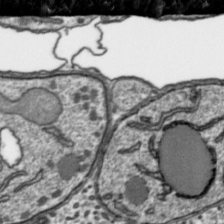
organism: Toxoplasma gondii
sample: Parasites in a vacuole inside a host cell